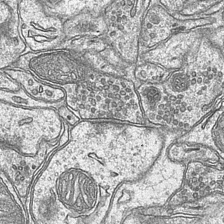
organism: Mouse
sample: CA1 Hippocampus